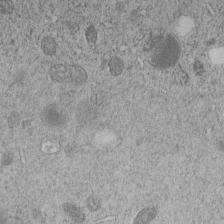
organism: C. elegans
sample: C. elegans embryo early stage